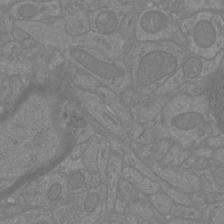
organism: Mouse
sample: Cortical neurons